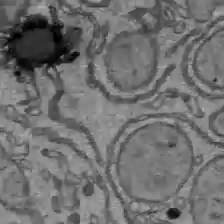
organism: C57BL Mouse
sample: Liver